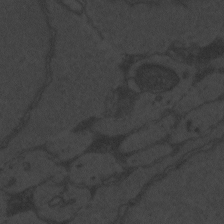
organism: Zebrafish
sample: Macrophage infected with Toxoplasma gondii